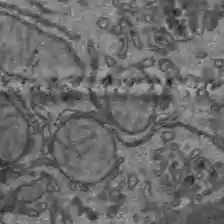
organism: C57BL Mouse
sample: Liver